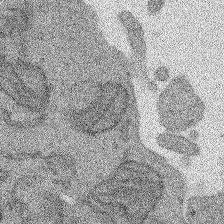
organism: Human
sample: HeLa cells